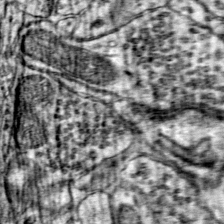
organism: Mouse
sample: Primary visual cortex